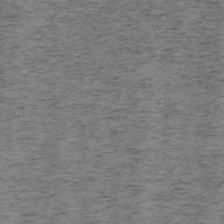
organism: Mouse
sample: OT-I killer T cells with ID8 ovarian cancer cells